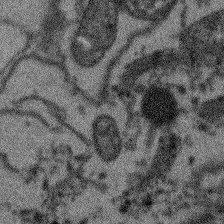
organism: Arabidopsis thaliana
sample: Root tip